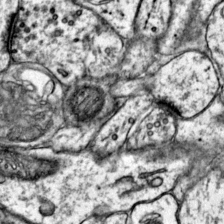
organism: Mouse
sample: Primary visual cortex